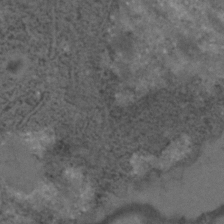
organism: C. elegans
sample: C. elegans embryo